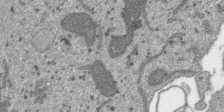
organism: Human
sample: Lung epithelial cells infected with SARS-CoV-2